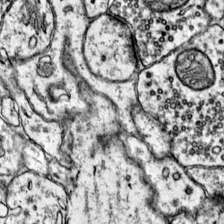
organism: Mouse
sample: Primary visual cortex